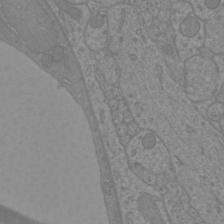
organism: Mouse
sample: Cortical neurons